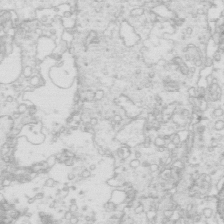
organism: Mouse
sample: Multiciliated cells